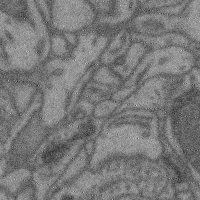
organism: Mouse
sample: Cerebral cortex